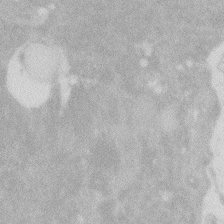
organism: Zebrafish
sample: Macrophage